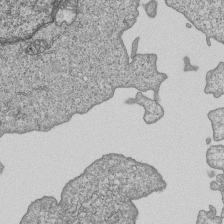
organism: Human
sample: MDA-MB-231 cells